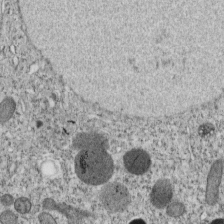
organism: C. elegans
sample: C. elegans embryo early stage